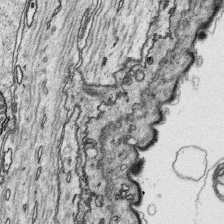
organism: Platynereis dumerilii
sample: Parapodia